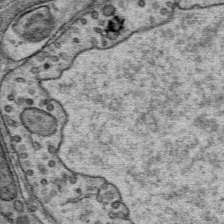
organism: Mouse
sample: Mouse Salivary gland